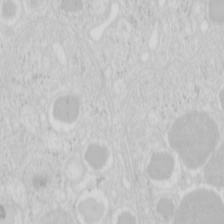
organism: Mouse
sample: Pancreas